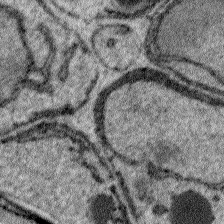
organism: Plasmodium falciparum